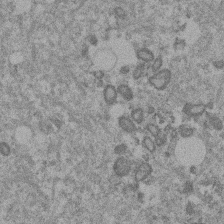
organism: Mouse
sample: Dividing mouse embryo 1 cell stage